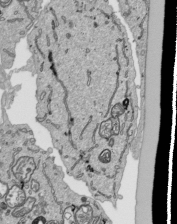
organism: Human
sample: Mitochondria in HCT116 cells